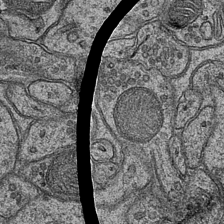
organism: Mouse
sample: CA1 Hippocampus